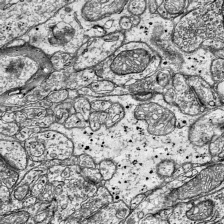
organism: Mouse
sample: Visual Cortex